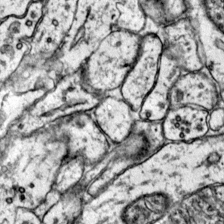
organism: Mouse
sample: Primary visual cortex